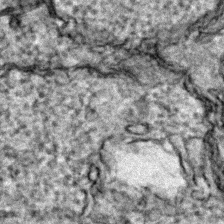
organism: Zebrafish